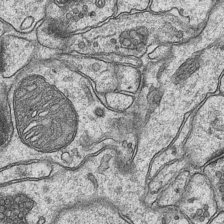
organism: Mouse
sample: CA1 Hippocampus